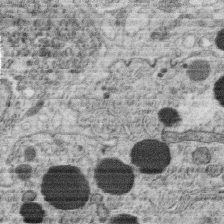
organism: C. elegans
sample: C. elegans oocyte; sperm cells